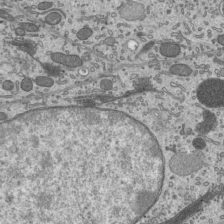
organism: Mouse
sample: Mouse epididymis efferent ductule cilia